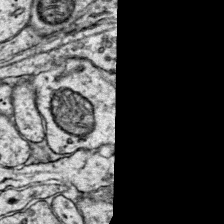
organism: Mouse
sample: Primary visual cortex